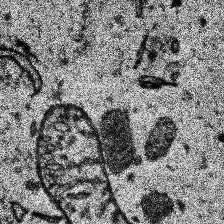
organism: Human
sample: Temporal Lobe